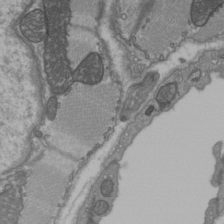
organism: C57BL Mouse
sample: Heart